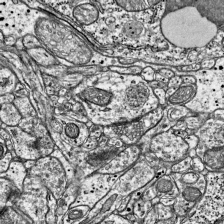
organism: Mouse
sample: Visual Cortex